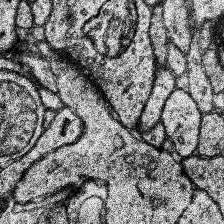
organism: Human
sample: Temporal Lobe